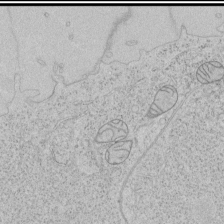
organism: Human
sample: Mitochondria in HCT116 cells